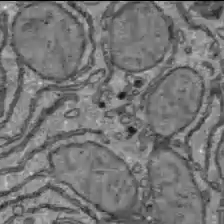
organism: C57BL Mouse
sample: Liver